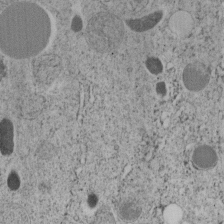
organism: C. elegans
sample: C. elegans embryo early stage